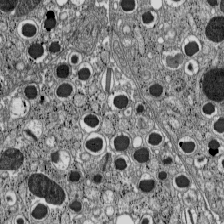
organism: C57BL Mouse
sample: Pancreatic islet